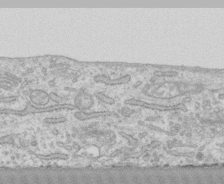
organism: Human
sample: CRL-1474